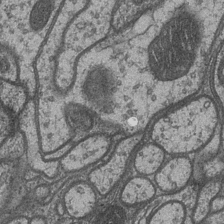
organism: Drosophila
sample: Optic medulla